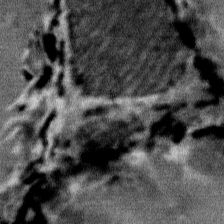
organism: Mouse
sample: Mouse Salivary gland